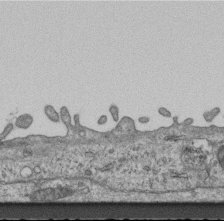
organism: Mouse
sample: Centriole in ependymal cells